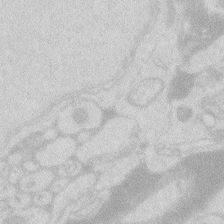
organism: Zebrafish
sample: Macrophage